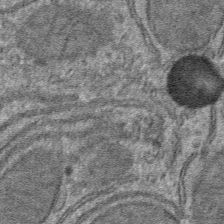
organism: Mouse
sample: Mouse hepatocytes